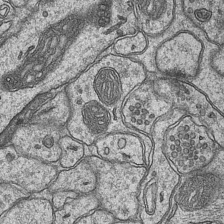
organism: Mouse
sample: CA1 Hippocampus